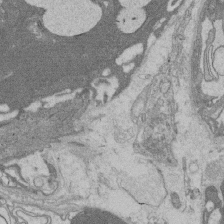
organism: Rat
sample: Salivary granule